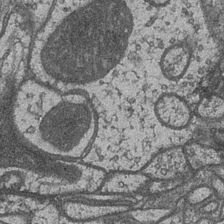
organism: Drosophila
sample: Optic medulla